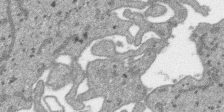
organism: Human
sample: Lung epithelial cells infected with SARS-CoV-2